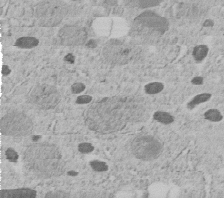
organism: C. elegans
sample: C. elegans embryo early stage